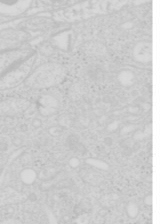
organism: Mouse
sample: Pancreas